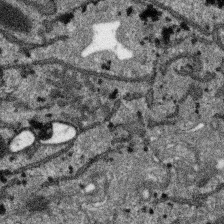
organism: Human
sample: Lung epithelial cells infected with SARS-CoV-2